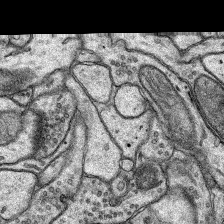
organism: Rat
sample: Hippocampus